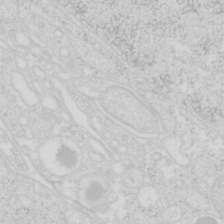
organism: Mouse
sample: Pancreas